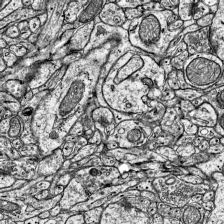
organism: Mouse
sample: Visual Cortex